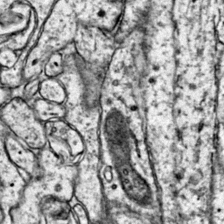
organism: Mouse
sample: Primary visual cortex